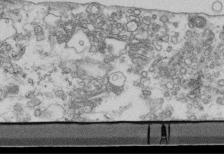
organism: Mouse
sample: Cilia; retinal pigment epithelium